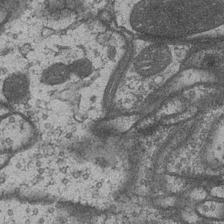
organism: Drosophila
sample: Optic medulla